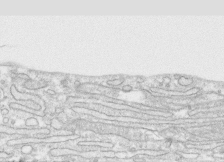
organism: Human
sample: CRL-1474